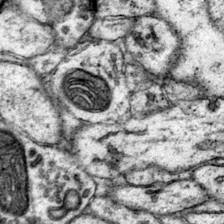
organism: Mouse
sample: Primary visual cortex